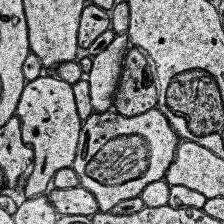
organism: Human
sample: Temporal Lobe